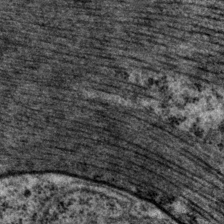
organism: P. pacificus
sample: Pharynx